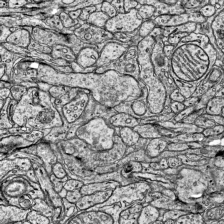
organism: Mouse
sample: Visual Cortex